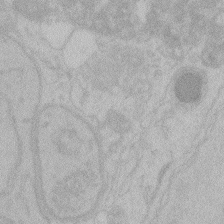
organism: Zebrafish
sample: Macrophage infected with Toxoplasma gondii